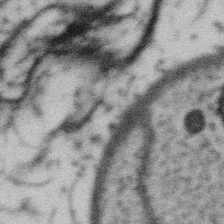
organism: Gemmata obscuriglobus